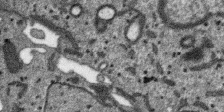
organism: Human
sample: Lung epithelial cells infected with SARS-CoV-2